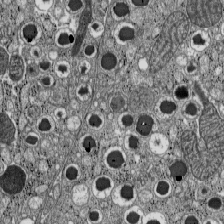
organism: C57BL Mouse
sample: Pancreatic islet